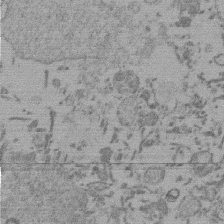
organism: Mouse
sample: Dividing mouse embryo 1 cell stage